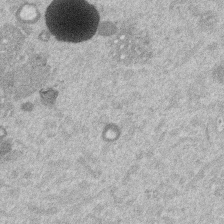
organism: Mouse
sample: Dividing mouse embryo 1 cell stage